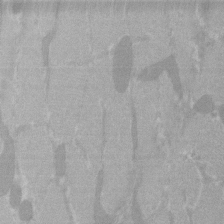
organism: C57BL Mouse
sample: Tibialis anterior muscle cell